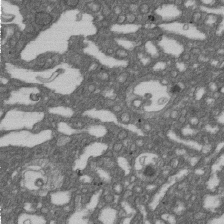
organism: Drosophila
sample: Nephrocyte